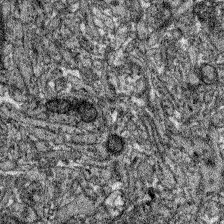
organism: Zebrafish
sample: Larval olfactory bulb